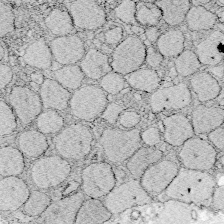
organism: Zebrafish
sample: Whole-Brain